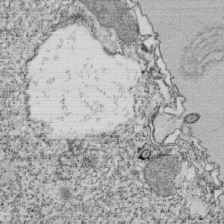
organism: Tetrahymena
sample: Cilia in tetrahymena